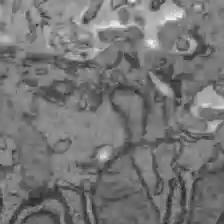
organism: C57BL Mouse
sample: Liver